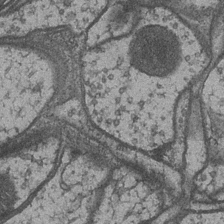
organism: Drosophila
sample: Optic medulla